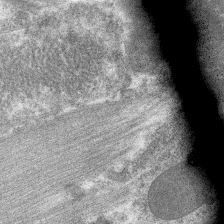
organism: C. elegans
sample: Pharynx